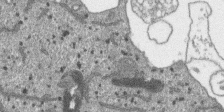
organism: Human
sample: Lung epithelial cells infected with SARS-CoV-2